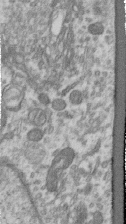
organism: Human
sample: Centriole in RPE cells